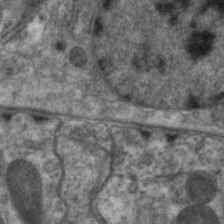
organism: C. elegans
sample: Pharynx